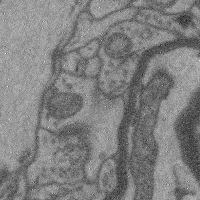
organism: Mouse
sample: Cerebral cortex